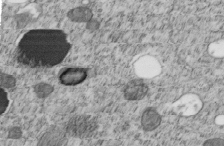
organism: C. elegans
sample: C. elegans embryo early stage